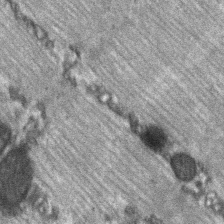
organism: C57BL Mouse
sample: Soleus